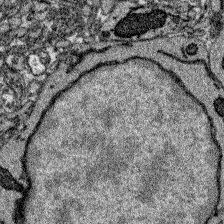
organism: Zebrafish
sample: Larval olfactory bulb